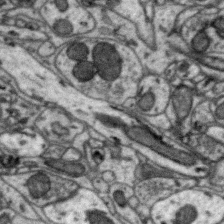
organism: Zebra finch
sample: Brain